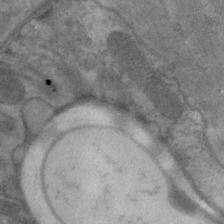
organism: C. elegans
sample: Pharynx